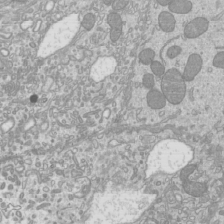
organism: Mouse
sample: Cilia; mouse epididymis